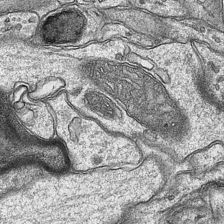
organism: Mouse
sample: CA1 Hippocampus